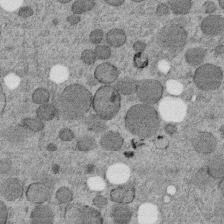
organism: C. elegans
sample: C. elegans embryo early stage